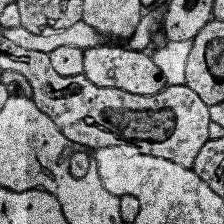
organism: Human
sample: Temporal Lobe